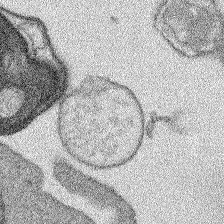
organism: Human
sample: HeLa cells